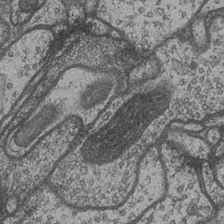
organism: Drosophila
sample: Optic medulla